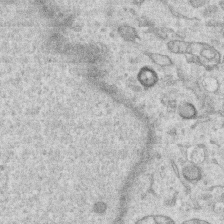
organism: Human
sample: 1205lu cells